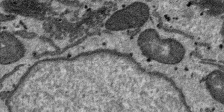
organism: Human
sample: Lung epithelial cells, uninfected (mock) control